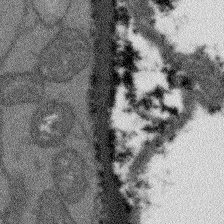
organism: Arabidopsis thaliana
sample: Root tip